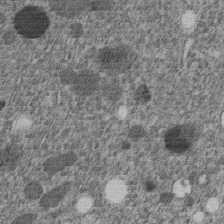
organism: C. elegans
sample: C. elegans embryo early stage